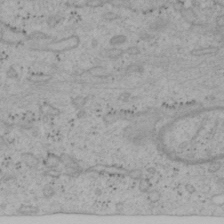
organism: Human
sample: HeLa cells